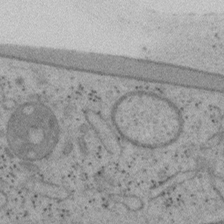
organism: Human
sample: HeLa cells